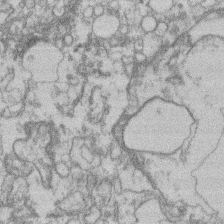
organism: Mouse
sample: T cell stromal cell synapse